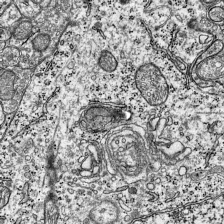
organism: Mouse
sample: Visual Cortex